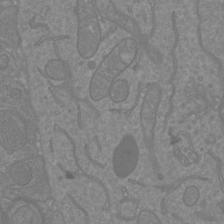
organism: Mouse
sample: Cortical neurons